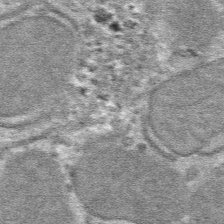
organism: Mouse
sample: Mouse hepatocytes